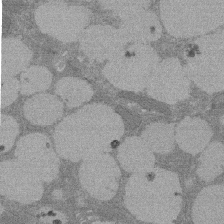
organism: Rat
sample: Salivary granule